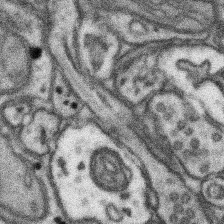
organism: Mouse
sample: Somatosensory cortex neuropil